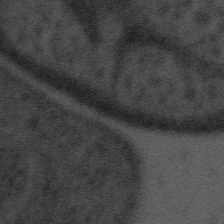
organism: Tuwongella immobilis